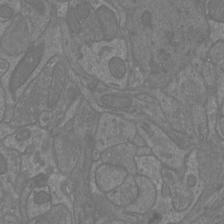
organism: Mouse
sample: Cortical neurons